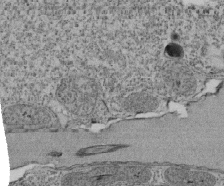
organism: Tetrahymena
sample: Cilia in tetrahymena